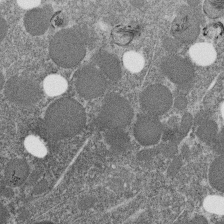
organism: C. elegans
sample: C. elegans embryo early stage